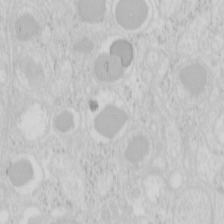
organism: Mouse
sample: Pancreas